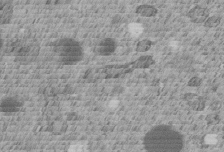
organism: C. elegans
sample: C. elegans embryo early stage